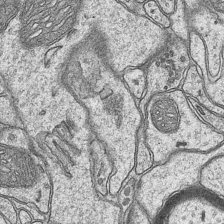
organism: Mouse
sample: CA1 Hippocampus